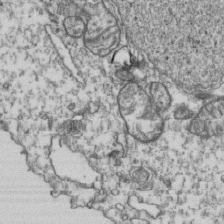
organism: Human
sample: Activated Jurkat CD4+ T cells